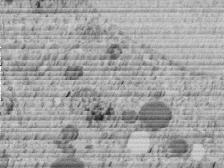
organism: C. elegans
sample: C. elegans embryo early stage